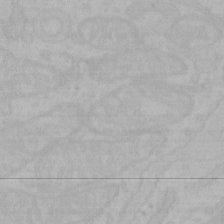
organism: Mouse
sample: Choroid plexus